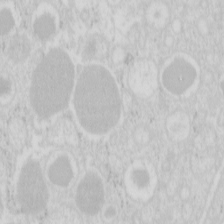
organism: Mouse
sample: Pancreas